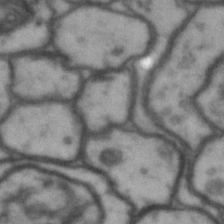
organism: Drosophila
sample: Brain